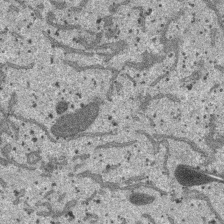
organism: Human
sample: Lung epithelial cells infected with SARS-CoV-2